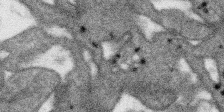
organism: Human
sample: Lung epithelial cells infected with SARS-CoV-2